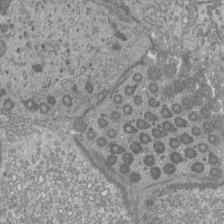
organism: Mouse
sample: Cilia; mouse epididymis